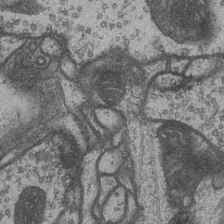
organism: Drosophila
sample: Optic medulla